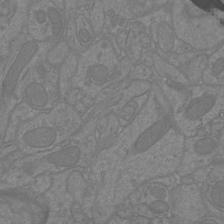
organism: Mouse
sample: Cortical neurons